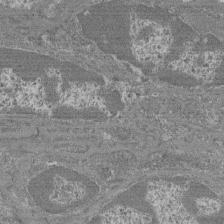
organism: Mouse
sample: Glomerulus